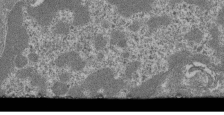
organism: Mouse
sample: Glomerulus